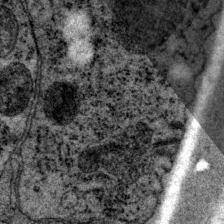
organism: P. pacificus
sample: Pharynx